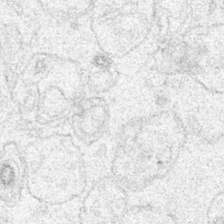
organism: Human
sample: Mitochondria in HCT116 cells